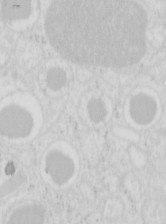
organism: Mouse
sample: Pancreas